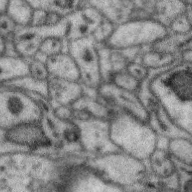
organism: Zebra finch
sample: Brain